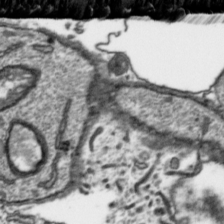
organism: Toxoplasma gondii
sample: Parasites in a vacuole inside a host cell